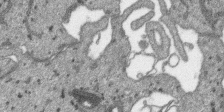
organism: Human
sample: Lung epithelial cells infected with SARS-CoV-2